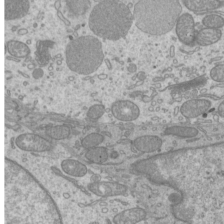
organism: Mouse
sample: Cilia; mouse epididymis